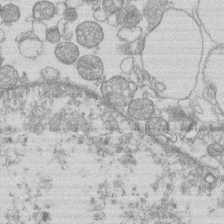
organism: Human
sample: Macrophage cells